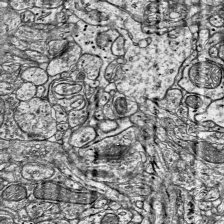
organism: Mouse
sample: Visual Cortex